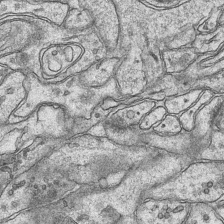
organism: Mouse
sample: CA1 Hippocampus